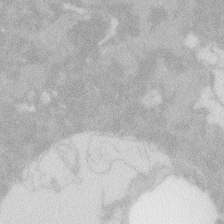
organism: Zebrafish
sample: Macrophage